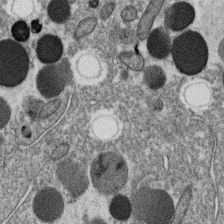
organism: C. elegans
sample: C. elegans oocyte; sperm cells